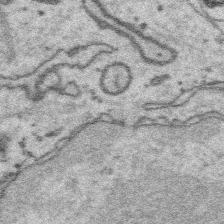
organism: Platynereis dumerilii